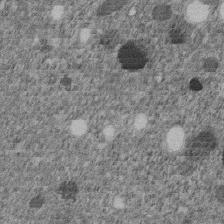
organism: C. elegans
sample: C. elegans embryo early stage